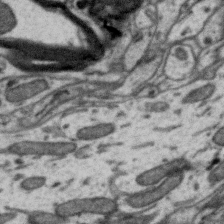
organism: Zebra finch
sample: Brain